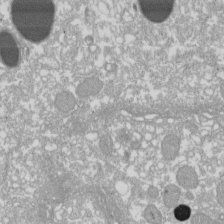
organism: Xenopus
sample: Cilia; centrioles in frog embryo cells